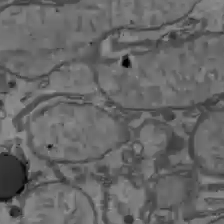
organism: C57BL Mouse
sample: Liver